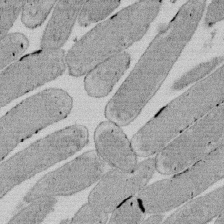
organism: E. coli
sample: Bacterial nucleoid